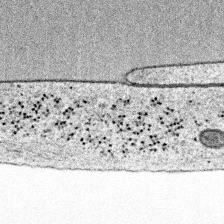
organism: Human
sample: HeLa cells